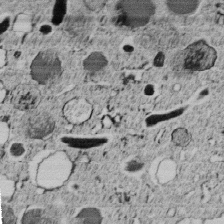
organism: C. elegans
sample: C. elegans embryo early stage